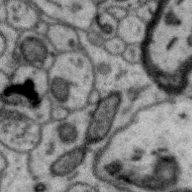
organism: Zebra finch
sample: Brain